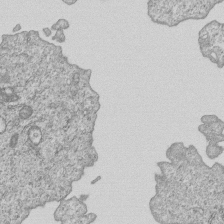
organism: Human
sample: MDA-MB-231 cells